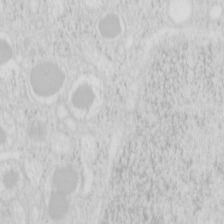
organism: Mouse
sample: Pancreas